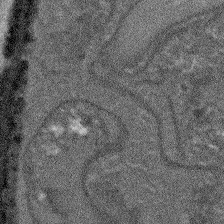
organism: Arabidopsis thaliana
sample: Root tip